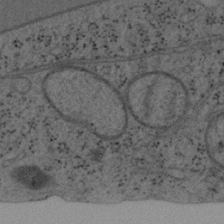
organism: Human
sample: HeLa cells